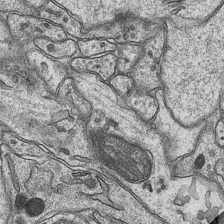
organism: Mouse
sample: CA1 Hippocampus